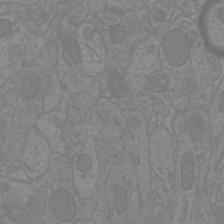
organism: Mouse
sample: Cortical neurons